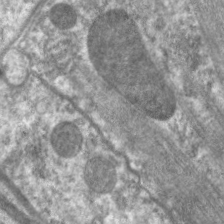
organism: C. elegans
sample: Pharynx